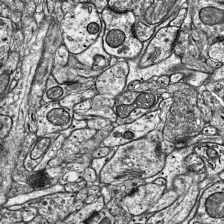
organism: Mouse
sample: Visual Cortex